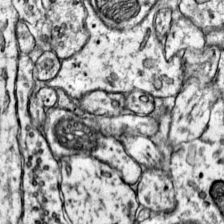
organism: Mouse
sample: Primary visual cortex